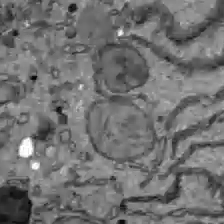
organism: C57BL Mouse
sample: Liver